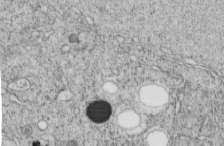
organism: C. elegans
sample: C. elegans embryo early stage